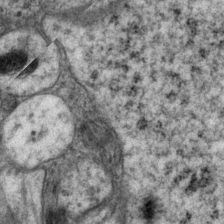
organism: P. pacificus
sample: Pharynx